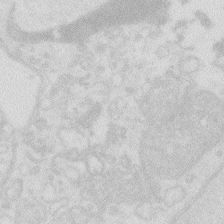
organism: Zebrafish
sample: Macrophage